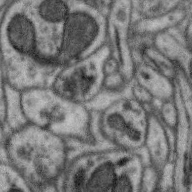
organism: Zebra finch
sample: Brain